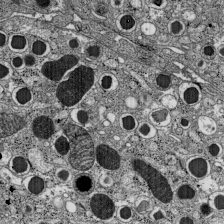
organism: C57BL Mouse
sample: Pancreatic islet